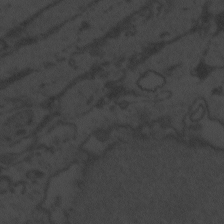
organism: Zebrafish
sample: Macrophage infected with Toxoplasma gondii